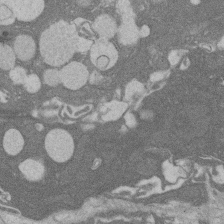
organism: Rat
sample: Salivary granule